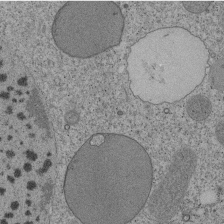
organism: Tetrahymena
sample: Cilia in tetrahymena